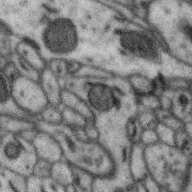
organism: Zebra finch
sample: Brain